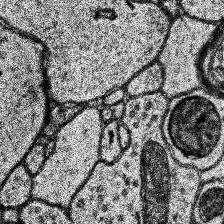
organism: Human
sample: Temporal Lobe